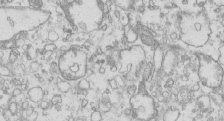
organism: Mouse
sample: Macrophages